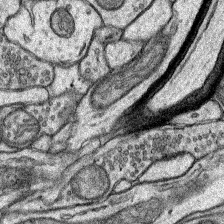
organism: Rat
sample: Hippocampus